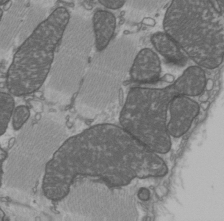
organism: C57BL Mouse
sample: Heart